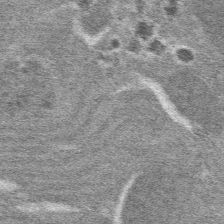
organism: Mouse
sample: Mouse hepatocytes